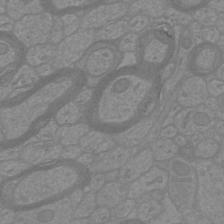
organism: Mouse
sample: Cortical neurons